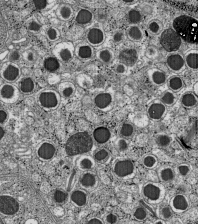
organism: C57BL Mouse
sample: Pancreatic islet